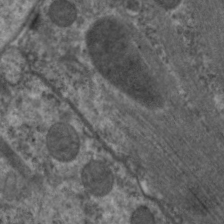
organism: C. elegans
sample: Pharynx